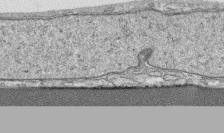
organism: Human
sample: CRL-1474